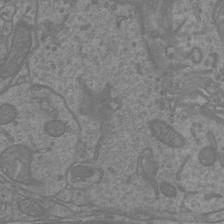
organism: Mouse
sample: Cortical neurons